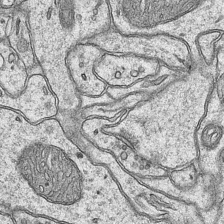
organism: Mouse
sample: CA1 Hippocampus